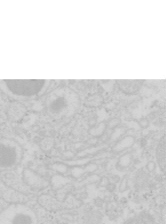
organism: Mouse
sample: Pancreas